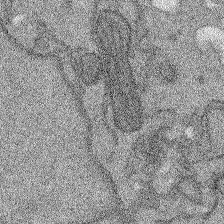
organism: Human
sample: HeLa cells